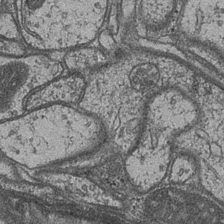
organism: Drosophila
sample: Optic medulla